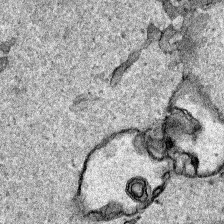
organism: Human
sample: Mitochondria in HCT116 cells